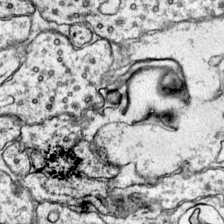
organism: Mouse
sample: Primary visual cortex